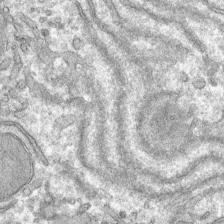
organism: Mouse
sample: Mouse hepatocytes